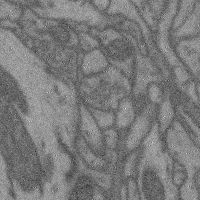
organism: Mouse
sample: Cerebral cortex